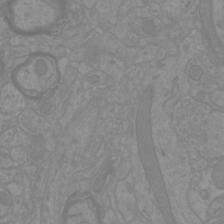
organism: Mouse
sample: Cortical neurons